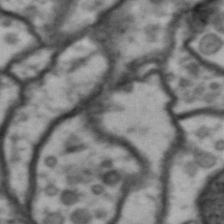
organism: Drosophila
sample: Brain